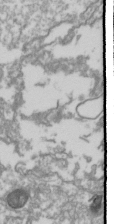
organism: Drosophila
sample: Cell division; meiosis; drosophila spermatocytes